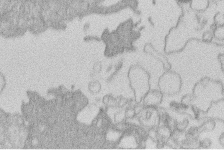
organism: Human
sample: Macrophage cells